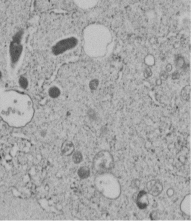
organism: C. elegans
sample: C. elegans embryo early stage